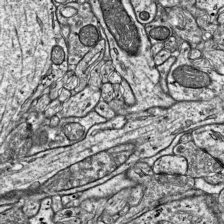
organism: Mouse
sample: Visual Cortex